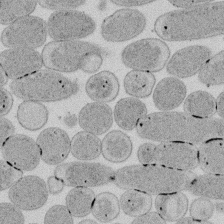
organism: E. coli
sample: Bacterial nucleoid